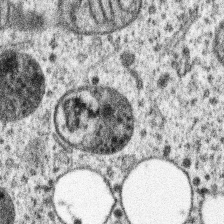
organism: Human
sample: HeLa cells